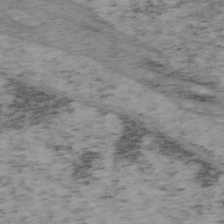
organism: Mouse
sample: OT-I killer T cells with ID8 ovarian cancer cells